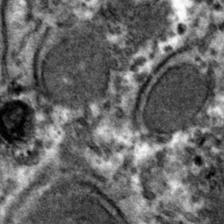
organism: Mouse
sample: Mouse hepatocytes